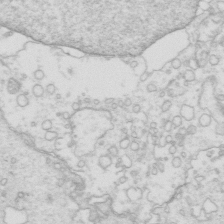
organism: Mouse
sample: Multiciliated cells